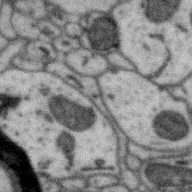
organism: Zebra finch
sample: Brain